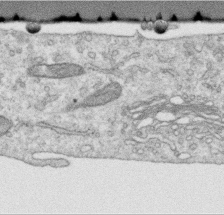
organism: Human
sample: Centriole in RPE cells